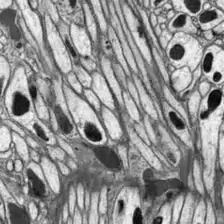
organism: Drosophila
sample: Optic lobe